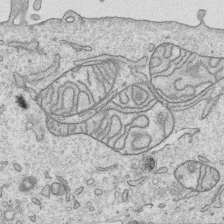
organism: Human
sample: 1205lu cells